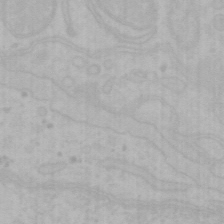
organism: Mouse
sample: Choroid plexus